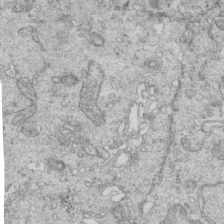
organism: Mouse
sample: Multiciliated cells